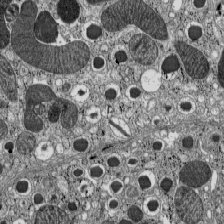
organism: C57BL Mouse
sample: Pancreatic islet